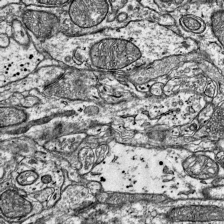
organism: Mouse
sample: Visual Cortex